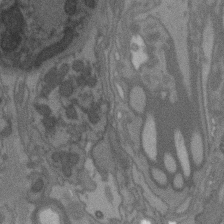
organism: C. elegans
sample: AFD neurons C. elegans